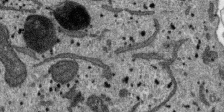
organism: Human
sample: Lung epithelial cells, uninfected (mock) control